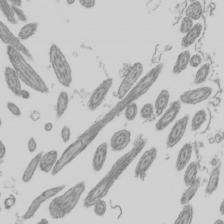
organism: Mouse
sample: Cilia; mouse epididymis